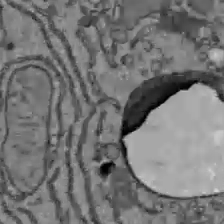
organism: C57BL Mouse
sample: Liver